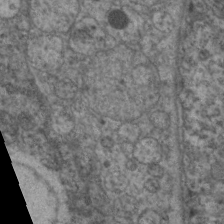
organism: C. elegans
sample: Pharynx